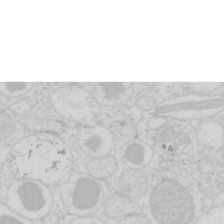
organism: Mouse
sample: Pancreas